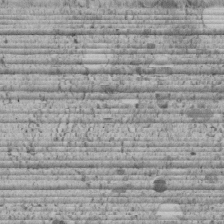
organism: C. elegans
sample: C. elegans embryo early stage